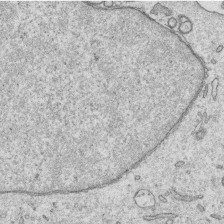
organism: Human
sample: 1205lu cells